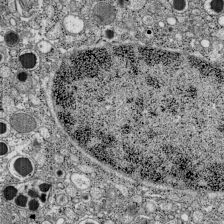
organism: C57BL Mouse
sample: Pancreatic islet